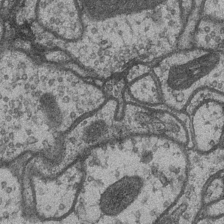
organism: Drosophila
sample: Optic medulla